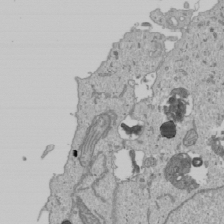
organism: Human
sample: Mitochondria in U2OS cells